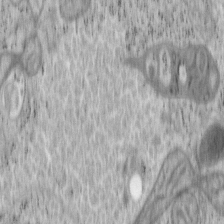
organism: Human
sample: HeLa cells